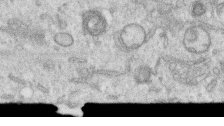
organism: Human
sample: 1205lu cells